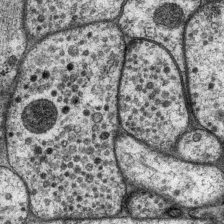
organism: P. pacificus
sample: Pharynx